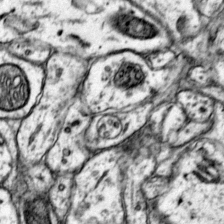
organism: Mouse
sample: Primary visual cortex